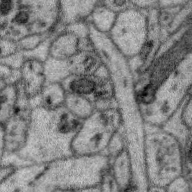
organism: Zebra finch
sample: Brain